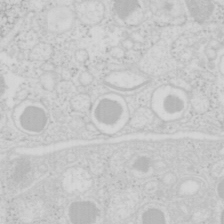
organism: Mouse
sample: Pancreas